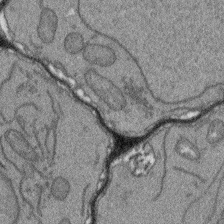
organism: Arabidopsis thaliana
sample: Root tip